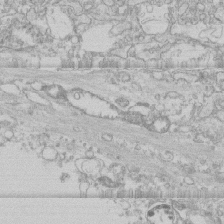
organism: Human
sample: CRL-1474